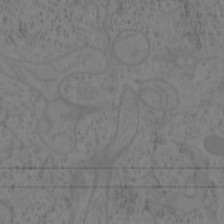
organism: Human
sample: HeLa cells